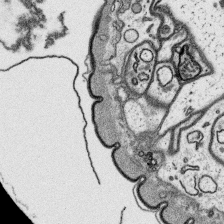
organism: Platynereis dumerilii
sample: Parapodia